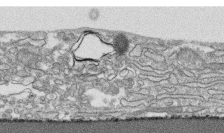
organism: Human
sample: CRL-1474